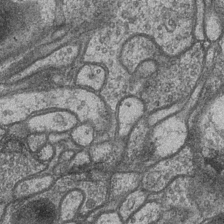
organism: Drosophila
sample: Optic medulla